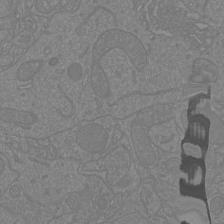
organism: Mouse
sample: Cortical neurons